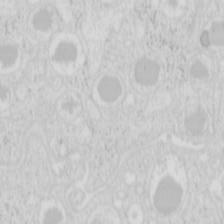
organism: Mouse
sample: Pancreas